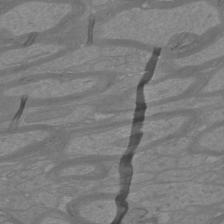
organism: Mouse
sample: Cortical neurons